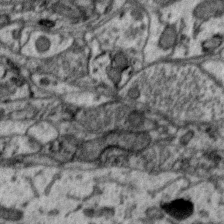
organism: Zebra finch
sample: Brain